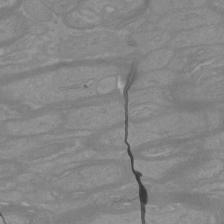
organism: Mouse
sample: Cortical neurons